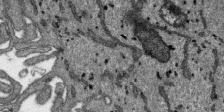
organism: Human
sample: Lung epithelial cells, uninfected (mock) control